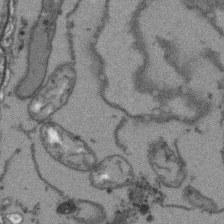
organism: Arabidopsis thaliana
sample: Root tip